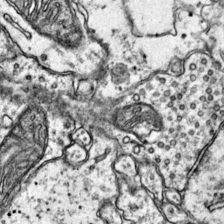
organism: Mouse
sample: Primary visual cortex